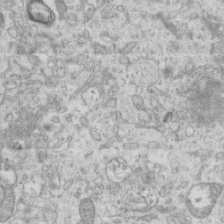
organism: Mouse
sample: Centriole in ependymal cells